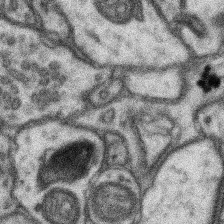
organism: Mouse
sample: Somatosensory cortex neuropil